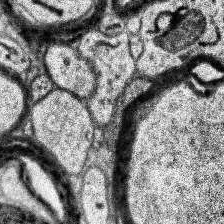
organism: Human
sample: Temporal Lobe